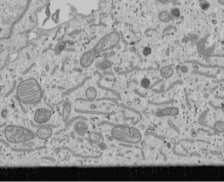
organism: Human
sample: Mitochondria in U2OS cells